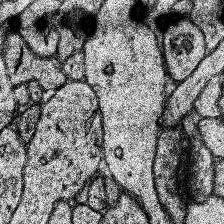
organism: Human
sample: Temporal Lobe